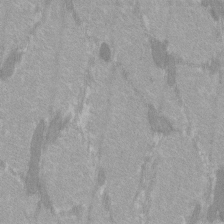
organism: C57BL Mouse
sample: Tibialis anterior muscle cell